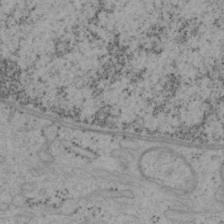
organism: Human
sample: HeLa cells